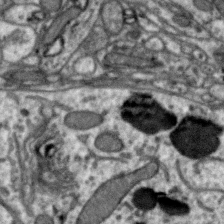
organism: Zebra finch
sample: Brain